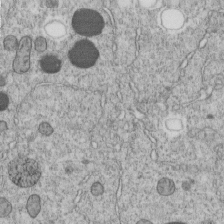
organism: C. elegans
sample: C. elegans embryo early stage